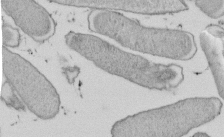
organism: E. coli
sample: Bacterial nucleoid